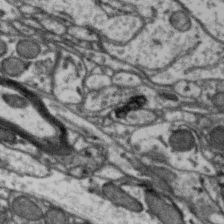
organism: Zebra finch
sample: Brain